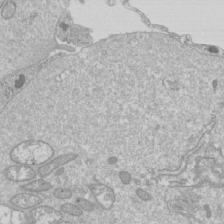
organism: Drosophila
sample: Cell division; meiosis; drosophila spermatocytes